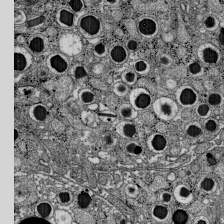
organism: C57BL Mouse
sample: Pancreatic islet